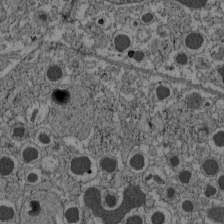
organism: C57BL Mouse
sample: Pancreatic islet